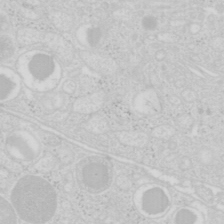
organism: Mouse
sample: Pancreas